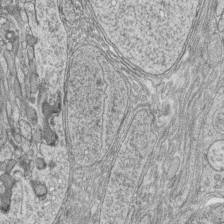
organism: Zebrafish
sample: synaptic ribbons in rod cells and cone cells